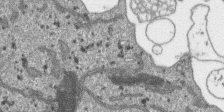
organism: Human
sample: Lung epithelial cells infected with SARS-CoV-2